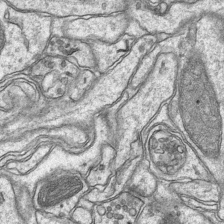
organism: Mouse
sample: CA1 Hippocampus